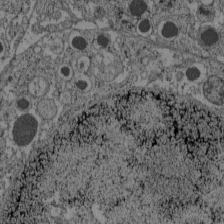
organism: C57BL Mouse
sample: Pancreatic islet